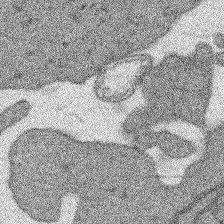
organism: Human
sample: HeLa cells